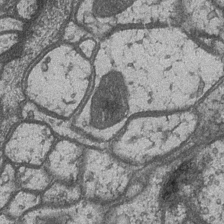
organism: Drosophila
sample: Optic medulla